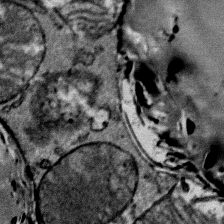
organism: Mouse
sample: Mouse Salivary gland